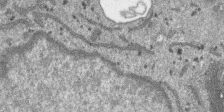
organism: Human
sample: Lung epithelial cells infected with SARS-CoV-2